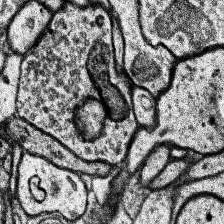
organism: Human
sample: Temporal Lobe